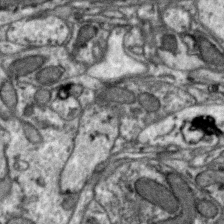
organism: Zebra finch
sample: Brain